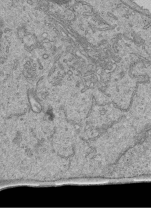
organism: Human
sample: Retinal organoid Rod and Cone cells